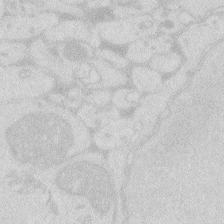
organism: Zebrafish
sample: Macrophage